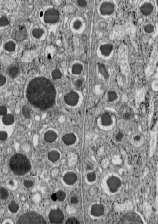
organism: C57BL Mouse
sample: Pancreatic islet